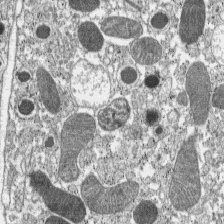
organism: C57BL Mouse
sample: Pancreatic islet